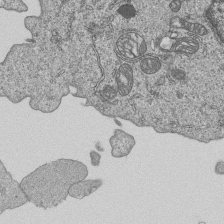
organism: Human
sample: MDA-MB-231 cells